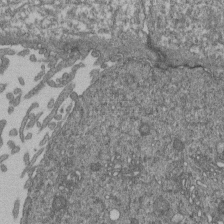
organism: Human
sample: Retinal organoid Rod and Cone cells